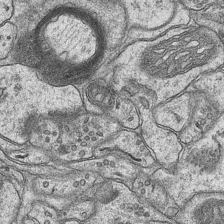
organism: Mouse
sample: CA1 Hippocampus